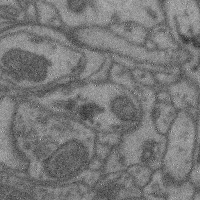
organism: Mouse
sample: Cerebral cortex